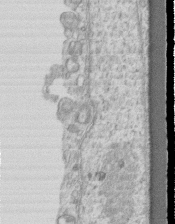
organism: Mouse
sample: Centriole in ependymal cells